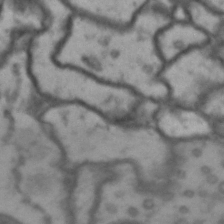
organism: Drosophila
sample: Brain